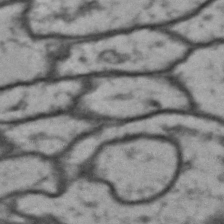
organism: Drosophila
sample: Brain